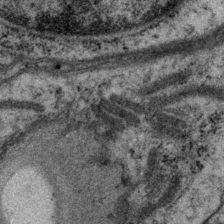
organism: P. pacificus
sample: Pharynx